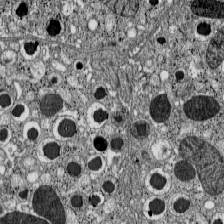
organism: C57BL Mouse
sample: Pancreatic islet